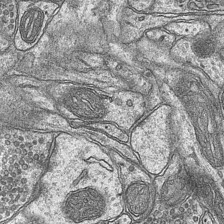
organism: Mouse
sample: CA1 Hippocampus